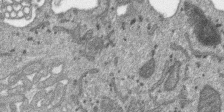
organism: Human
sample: Lung epithelial cells infected with SARS-CoV-2